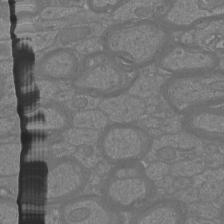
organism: Mouse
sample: Cortical neurons